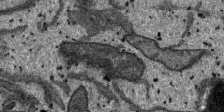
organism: Human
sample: Lung epithelial cells, uninfected (mock) control